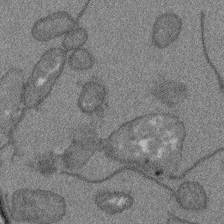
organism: Arabidopsis thaliana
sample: Root tip